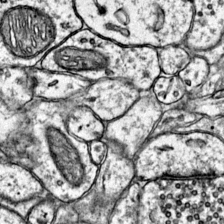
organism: Mouse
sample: Primary visual cortex